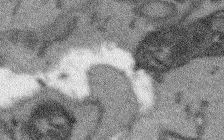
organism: Arabidopsis thaliana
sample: Root tip